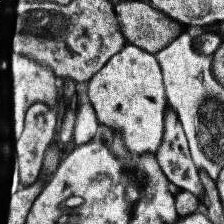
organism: Human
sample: Temporal Lobe